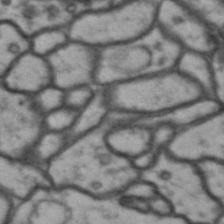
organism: Drosophila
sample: Brain